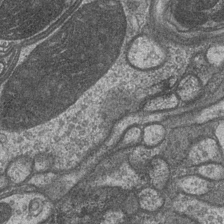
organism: Drosophila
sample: Optic medulla